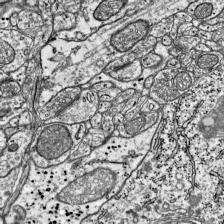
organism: Mouse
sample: Visual Cortex